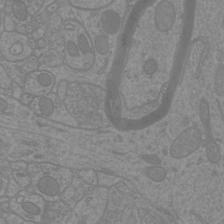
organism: Mouse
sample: Cortical neurons